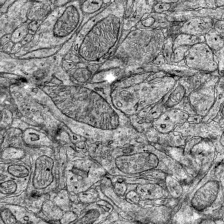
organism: Mouse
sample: Visual Cortex